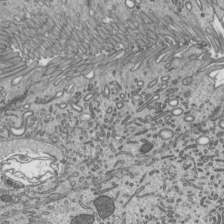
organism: Mouse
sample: Mouse epididymis efferent ductule cilia